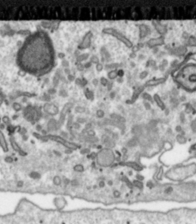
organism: Toxoplasma gondii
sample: Parasites in a vacuole inside a host cell